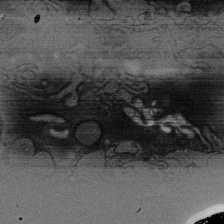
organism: Rat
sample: Salivary granule